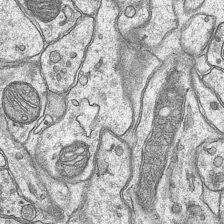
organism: Mouse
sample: CA1 Hippocampus